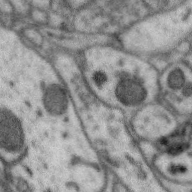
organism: Zebra finch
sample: Brain